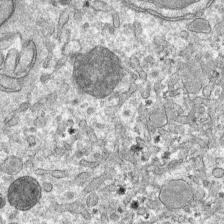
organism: Mouse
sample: Mouse hepatocytes